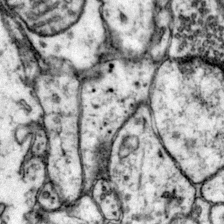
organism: Mouse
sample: Primary visual cortex